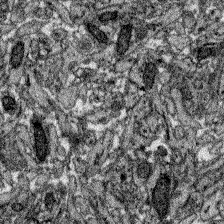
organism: Zebrafish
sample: Larval olfactory bulb